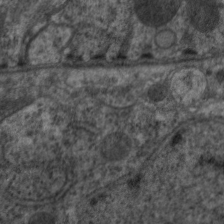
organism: C. elegans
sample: Pharynx